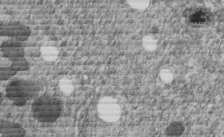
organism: C. elegans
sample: C. elegans embryo early stage